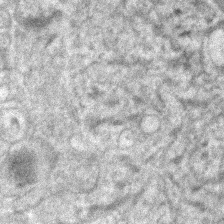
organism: Human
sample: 1205lu cells